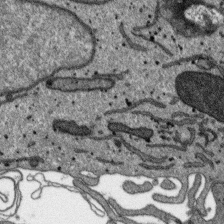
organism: Human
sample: Lung epithelial cells, uninfected (mock) control